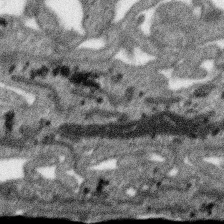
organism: Human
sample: Lung epithelial cells infected with SARS-CoV-2